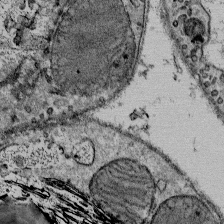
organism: Mouse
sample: Mouse Salivary gland